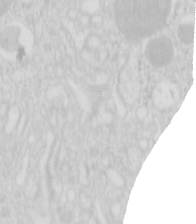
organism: Mouse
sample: Pancreas